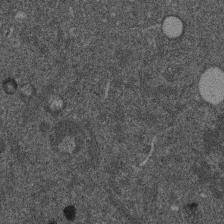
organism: Mouse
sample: Dividing mouse embryo 1 cell stage